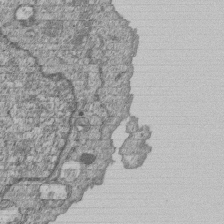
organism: Human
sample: MDA-MB-231 cells